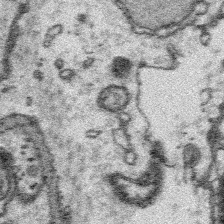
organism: Platynereis dumerilii